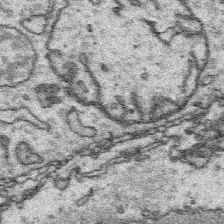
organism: Platynereis dumerilii